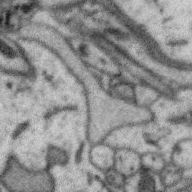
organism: Zebra finch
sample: Brain